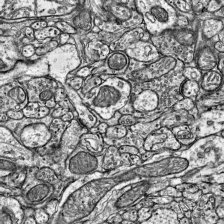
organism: Mouse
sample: Visual Cortex